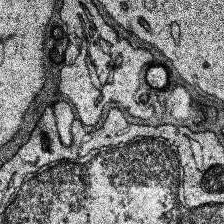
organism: Human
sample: Temporal Lobe